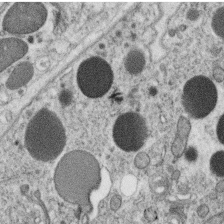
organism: C. elegans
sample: C. elegans oocyte; sperm cells